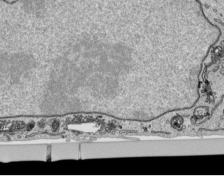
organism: Human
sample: Mitochondria in HCT116 cells